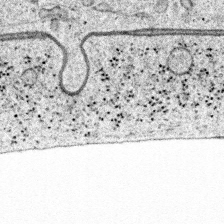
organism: Human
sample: HeLa cells